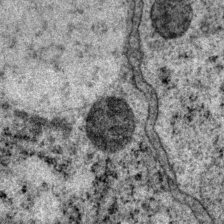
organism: P. pacificus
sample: Pharynx